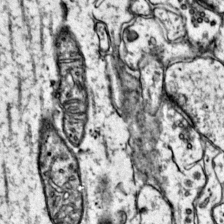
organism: Mouse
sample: Primary visual cortex